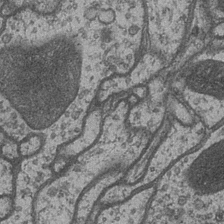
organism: Drosophila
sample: Optic medulla